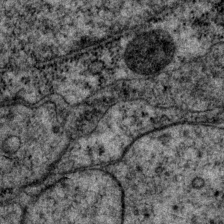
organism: P. pacificus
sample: Pharynx